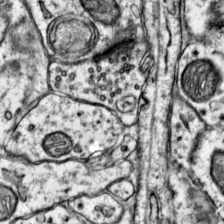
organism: Mouse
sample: Primary visual cortex